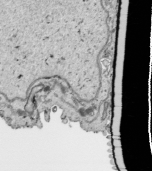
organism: Human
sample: Mitochondria in HCT116 cells